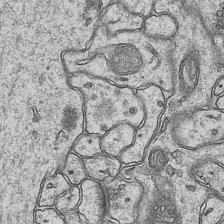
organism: Mouse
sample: CA1 Hippocampus